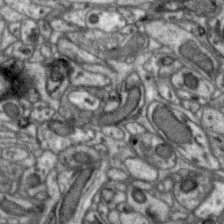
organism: Zebra finch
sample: Brain